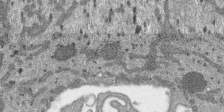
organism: Human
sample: Lung epithelial cells infected with SARS-CoV-2